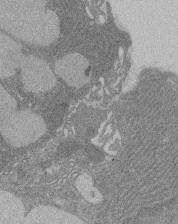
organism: Rat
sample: Salivary granule